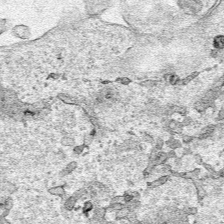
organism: Human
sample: Mitochondria in HCT116 cells